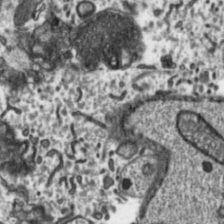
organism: Toxoplasma gondii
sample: Parasites in a vacuole inside a host cell